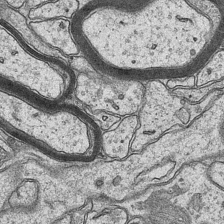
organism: Mouse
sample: CA1 Hippocampus